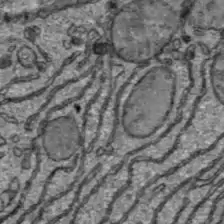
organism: C57BL Mouse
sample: Liver